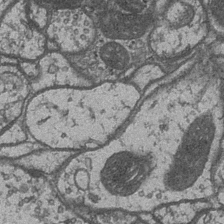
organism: Drosophila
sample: Optic medulla